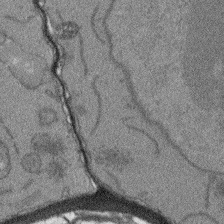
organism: Arabidopsis thaliana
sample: Root tip